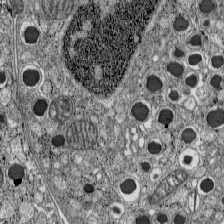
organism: C57BL Mouse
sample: Pancreatic islet